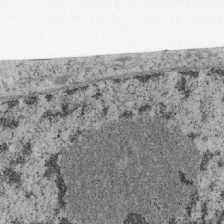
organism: Human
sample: HeLa cells